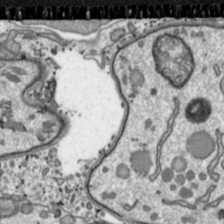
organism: Toxoplasma gondii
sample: Parasites in a vacuole inside a host cell